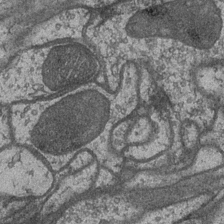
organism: Drosophila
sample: Optic medulla